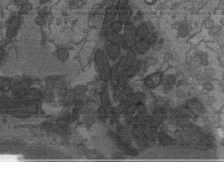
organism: C. elegans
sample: AFD neurons C. elegans